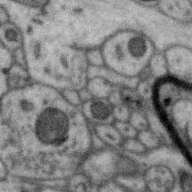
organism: Zebra finch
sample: Brain